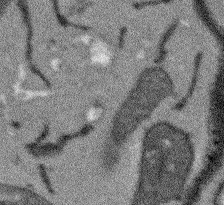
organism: Arabidopsis thaliana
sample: Root tip